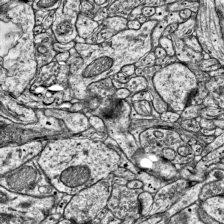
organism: Mouse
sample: Visual Cortex